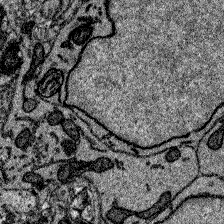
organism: Zebrafish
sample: Larval olfactory bulb